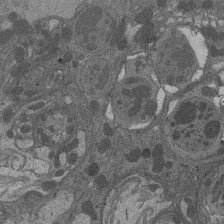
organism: Drosophila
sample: Antenna